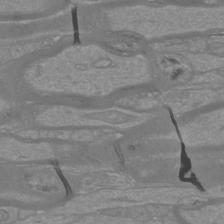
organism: Mouse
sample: Cortical neurons